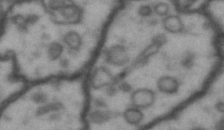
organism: Drosophila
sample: Brain